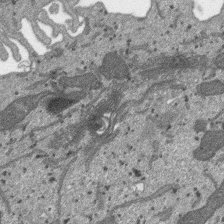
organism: Human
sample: Lung epithelial cells infected with SARS-CoV-2